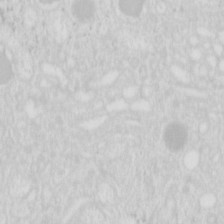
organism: Mouse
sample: Pancreas